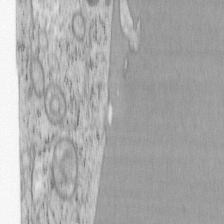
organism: Human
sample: HeLa cells